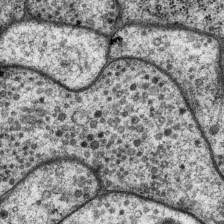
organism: P. pacificus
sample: Pharynx